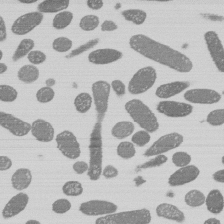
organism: E. coli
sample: Bacterial nucleoid